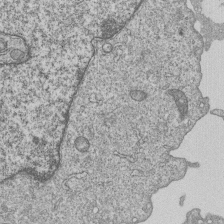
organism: Human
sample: MDA-MB-231 cells